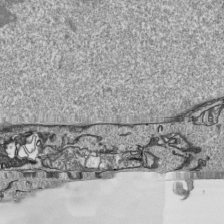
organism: Human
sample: Mitochondria in HCT116 cells